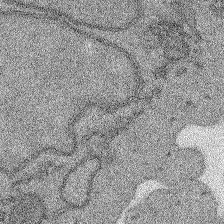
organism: Human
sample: HeLa cells